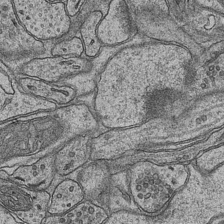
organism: Mouse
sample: CA1 Hippocampus